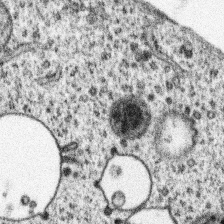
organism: Human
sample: HeLa cells